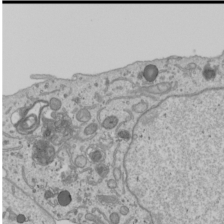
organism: Human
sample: Mitochondria in U2OS cells